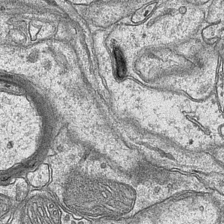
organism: Mouse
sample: CA1 Hippocampus